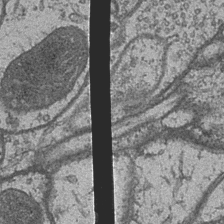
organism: Drosophila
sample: Optic medulla